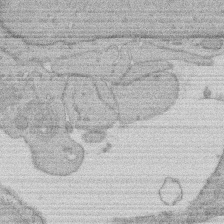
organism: Rat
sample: Salivary granule